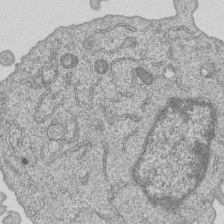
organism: Human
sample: MDA-MB-231 cells